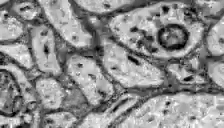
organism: Zebrafish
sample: Brain